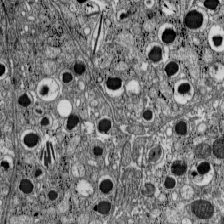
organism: C57BL Mouse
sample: Pancreatic islet